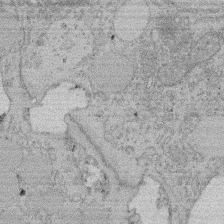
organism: Rat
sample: Salivary granule